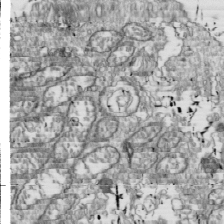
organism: Drosophila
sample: Cell division; meiosis; drosophila spermatocytes